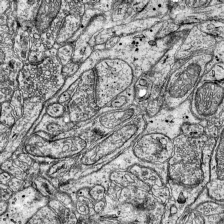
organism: Mouse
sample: Visual Cortex